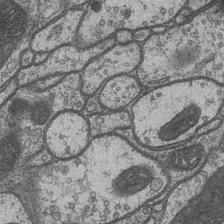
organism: Drosophila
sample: Optic medulla